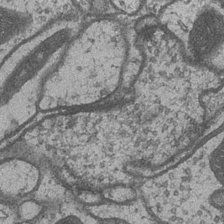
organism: Drosophila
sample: Optic medulla